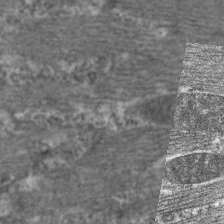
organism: C. elegans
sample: Pharynx